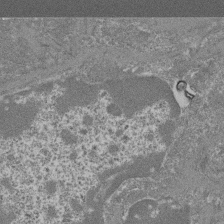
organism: Mouse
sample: Glomerulus